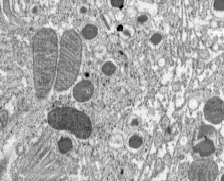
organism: C57BL Mouse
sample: Pancreatic islet